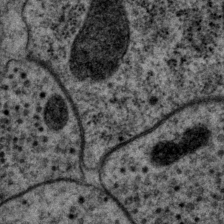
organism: P. pacificus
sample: Pharynx